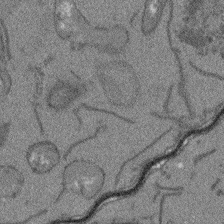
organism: Arabidopsis thaliana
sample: Root tip